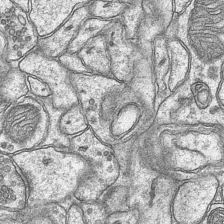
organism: Mouse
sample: CA1 Hippocampus